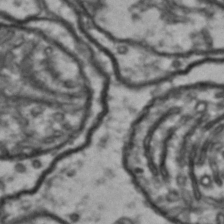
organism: Drosophila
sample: Brain